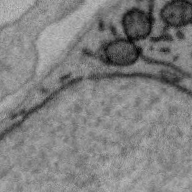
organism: Zebra finch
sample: Brain